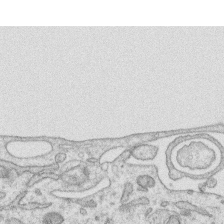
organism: Human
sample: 1205lu cells